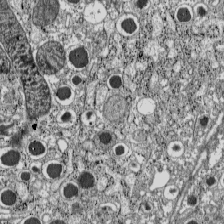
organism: C57BL Mouse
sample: Pancreatic islet